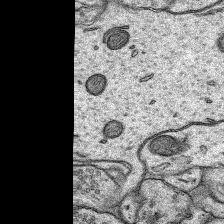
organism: Rat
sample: Hippocampus